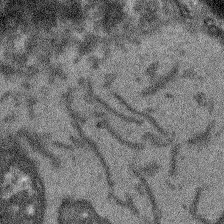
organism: Arabidopsis thaliana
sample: Root tip